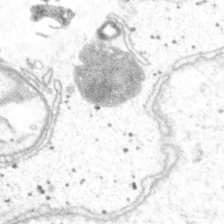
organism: Human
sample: HeLa cells